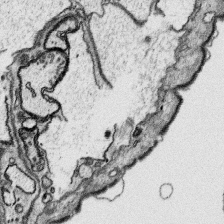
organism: Platynereis dumerilii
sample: Parapodia